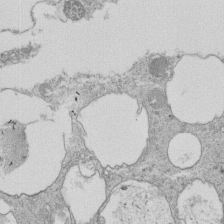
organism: Tetrahymena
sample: Cilia in tetrahymena